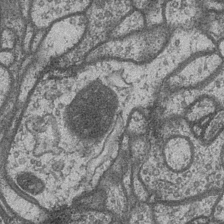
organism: Drosophila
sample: Optic medulla